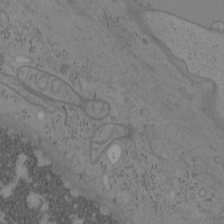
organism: Mouse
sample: OT-I killer T cells with ID8 ovarian cancer cells